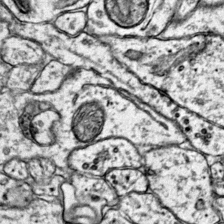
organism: Mouse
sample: Primary visual cortex